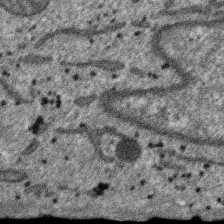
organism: Human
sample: Lung epithelial cells infected with SARS-CoV-2